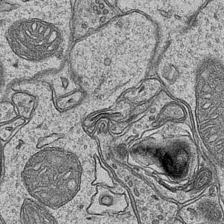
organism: Mouse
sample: CA1 Hippocampus